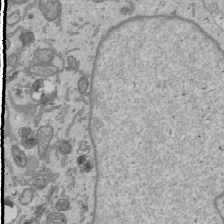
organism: Human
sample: Mitochondria in U2OS cells